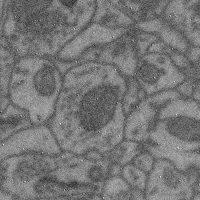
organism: Mouse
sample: Cerebral cortex